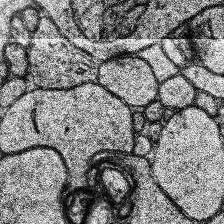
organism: Human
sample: Temporal Lobe